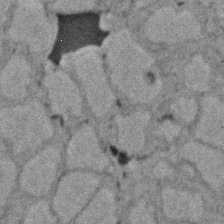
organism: Zebrafish